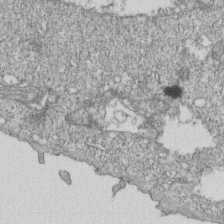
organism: Human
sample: HeLa cell HIV synapse